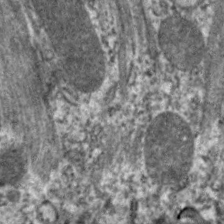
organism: C. elegans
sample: Pharynx